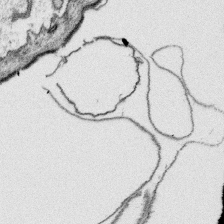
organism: Platynereis dumerilii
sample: Parapodia